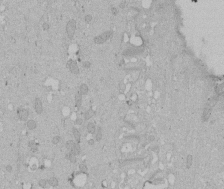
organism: Human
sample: Melanocyte Keratinocyte synapse skin construct